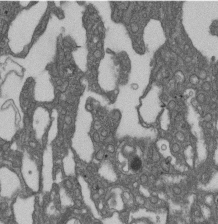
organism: Drosophila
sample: Nephrocyte